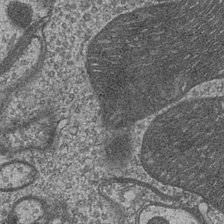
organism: Drosophila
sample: Optic medulla